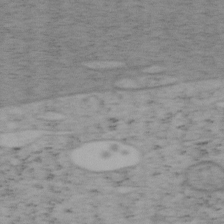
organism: Mouse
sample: OT-I killer T cells with ID8 ovarian cancer cells